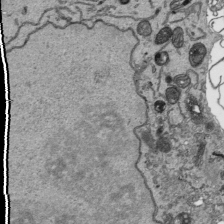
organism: Human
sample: Mitochondria in HCT116 cells